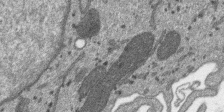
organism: Human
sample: Lung epithelial cells infected with SARS-CoV-2